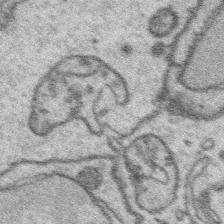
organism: Platynereis dumerilii